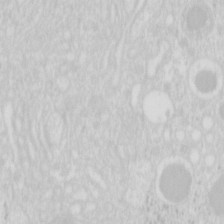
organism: Mouse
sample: Pancreas